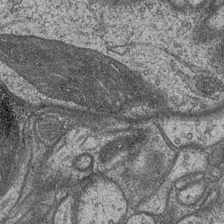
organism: Drosophila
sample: Optic medulla